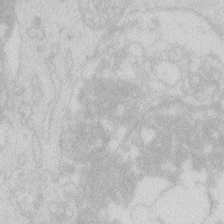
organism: Zebrafish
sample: Macrophage